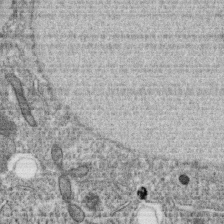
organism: C. elegans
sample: C. elegans oocyte; sperm cells